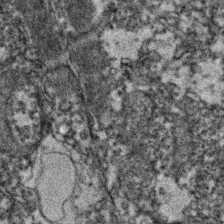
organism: Zebrafish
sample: Zebrafish embryo